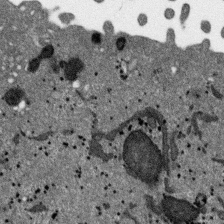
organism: Human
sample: Lung epithelial cells, uninfected (mock) control